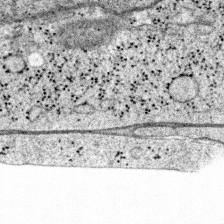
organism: Human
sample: HeLa cells